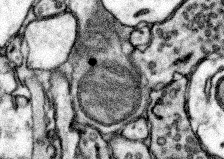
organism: Mouse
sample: Somatosensory cortex neuropil